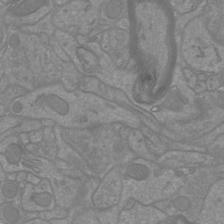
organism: Mouse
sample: Cortical neurons